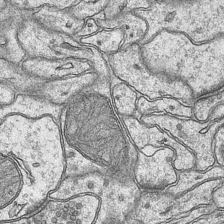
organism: Mouse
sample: CA1 Hippocampus